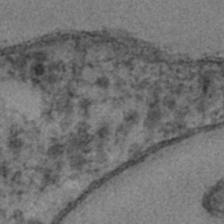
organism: C. elegans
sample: C. elegans embryo